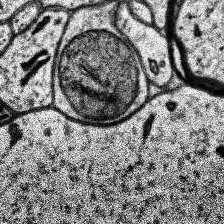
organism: Human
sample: Temporal Lobe